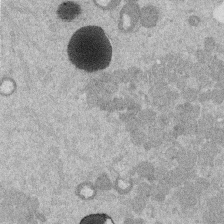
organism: Mouse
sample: Dividing mouse embryo 1 cell stage